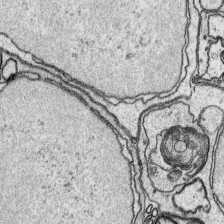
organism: Platynereis dumerilii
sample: Parapodia